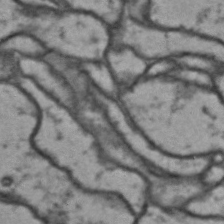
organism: Drosophila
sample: Brain